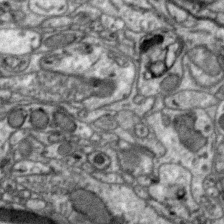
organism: Zebra finch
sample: Brain